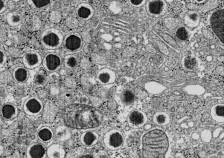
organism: C57BL Mouse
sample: Pancreatic islet